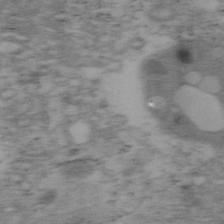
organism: Mouse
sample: OT-I killer T cells with ID8 ovarian cancer cells